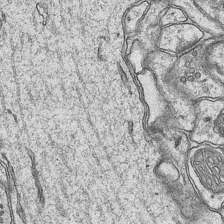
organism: Mouse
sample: CA1 Hippocampus